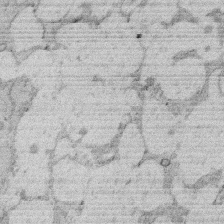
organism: Rat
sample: Salivary granule